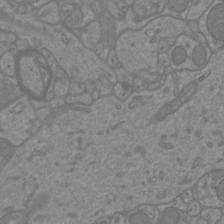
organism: Mouse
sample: Cortical neurons